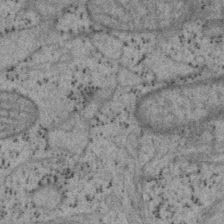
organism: Human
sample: HeLa cells